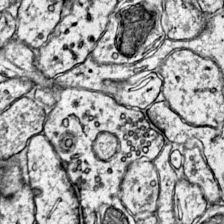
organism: Mouse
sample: Primary visual cortex